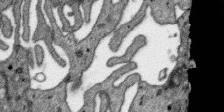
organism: Human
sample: Lung epithelial cells, uninfected (mock) control